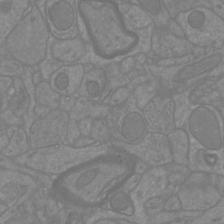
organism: Mouse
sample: Cortical neurons